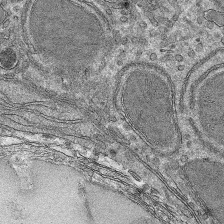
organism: Mouse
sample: Mouse hepatocytes